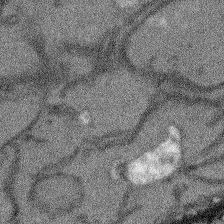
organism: Arabidopsis thaliana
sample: Root tip